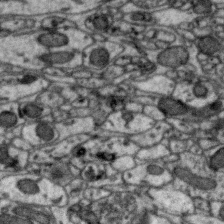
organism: Zebra finch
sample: Brain